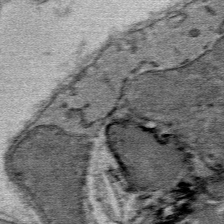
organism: Mouse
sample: Mouse Salivary gland